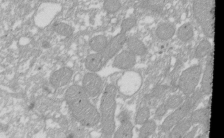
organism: Xenopus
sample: Cilia; centrioles in frog embryo cells